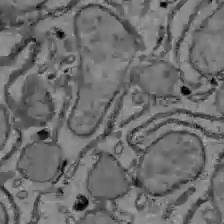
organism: C57BL Mouse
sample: Liver